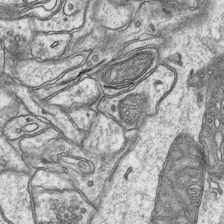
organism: Mouse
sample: CA1 Hippocampus